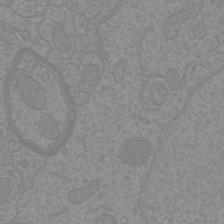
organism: Mouse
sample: Cortical neurons